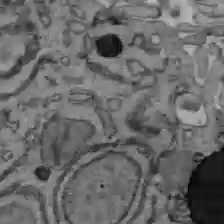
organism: C57BL Mouse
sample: Liver